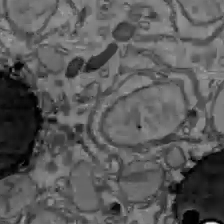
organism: C57BL Mouse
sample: Liver